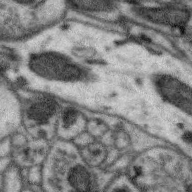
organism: Zebra finch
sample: Brain